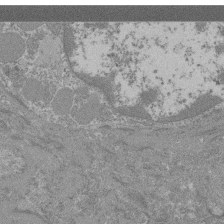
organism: Mouse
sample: Glomerulus